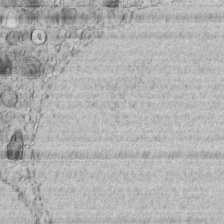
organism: C. elegans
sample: C. elegans embryo early stage